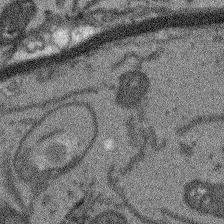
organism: Arabidopsis thaliana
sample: Root tip